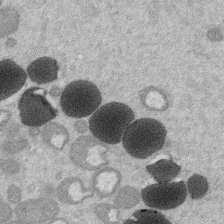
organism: Mouse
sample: Dividing mouse embryo 1 cell stage